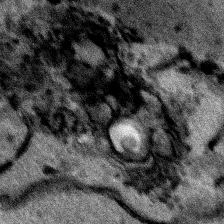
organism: Human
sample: Mitochondria in HCT116 cells